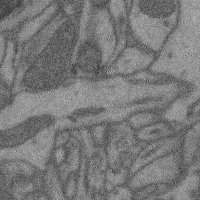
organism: Mouse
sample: Cerebral cortex